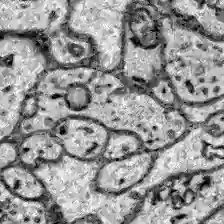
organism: Zebrafish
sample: Brain